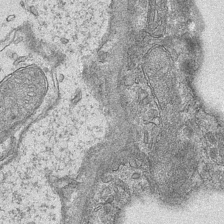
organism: Mouse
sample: CA1 Hippocampus